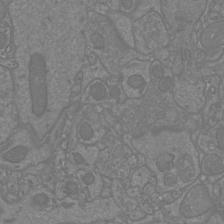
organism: Mouse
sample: Cortical neurons